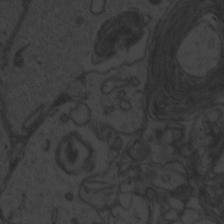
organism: Zebrafish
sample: Macrophage infected with Toxoplasma gondii